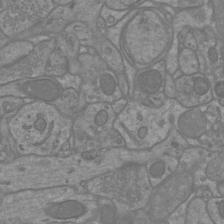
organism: Mouse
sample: Cortical neurons